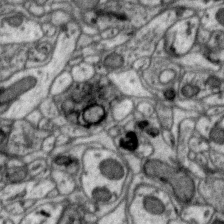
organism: Zebra finch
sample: Brain